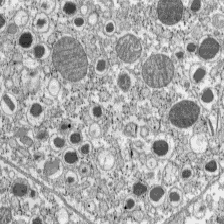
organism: C57BL Mouse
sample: Pancreatic islet